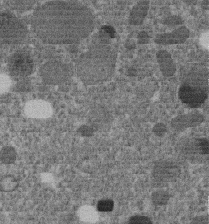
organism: C. elegans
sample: C. elegans embryo early stage